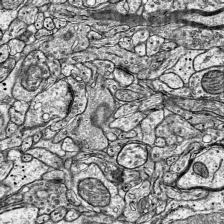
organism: Mouse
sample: Visual Cortex